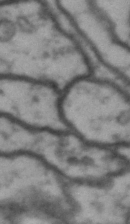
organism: Drosophila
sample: Brain